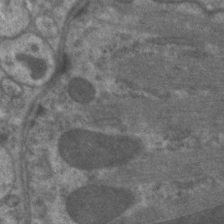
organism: C. elegans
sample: Pharynx